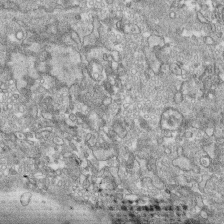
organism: Human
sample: CRL-1474